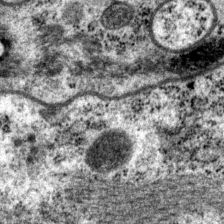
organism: P. pacificus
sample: Pharynx